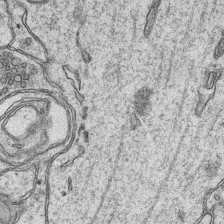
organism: Mouse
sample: CA1 Hippocampus